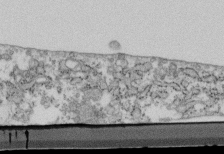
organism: Mouse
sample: Cilia; retinal pigment epithelium